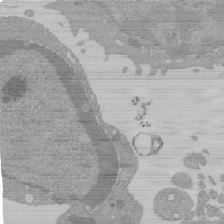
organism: Mouse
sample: Activated Pmel transgenic CD8+ T Cells